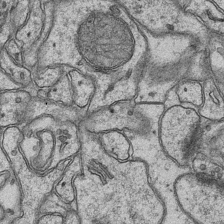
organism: Mouse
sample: CA1 Hippocampus